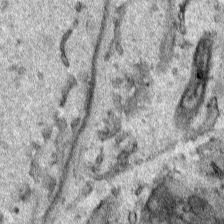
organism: Human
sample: Mitochondria in HCT116 cells